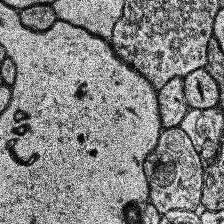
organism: Human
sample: Temporal Lobe